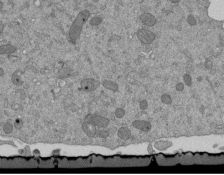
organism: Mouse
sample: ED-1 cell nuclei; centrioles